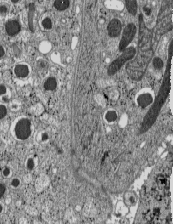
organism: C57BL Mouse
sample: Pancreatic islet